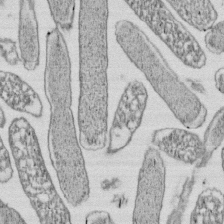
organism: E. coli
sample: Bacterial nucleoid